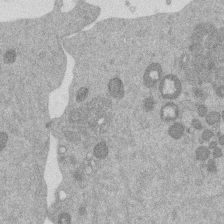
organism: Mouse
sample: Dividing mouse embryo 1 cell stage